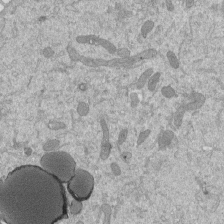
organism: Mouse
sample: ED-1 cell nuclei; centrioles